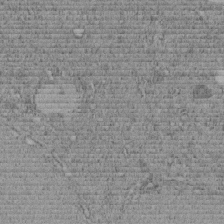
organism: C. elegans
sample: C. elegans embryo early stage